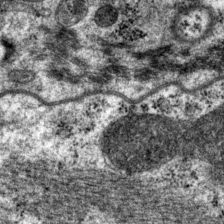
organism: P. pacificus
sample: Pharynx